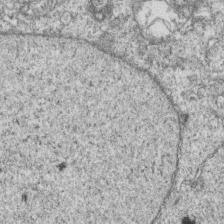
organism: Human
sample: HeLa cell HIV synapse